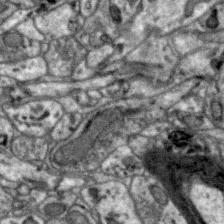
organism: Zebra finch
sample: Brain